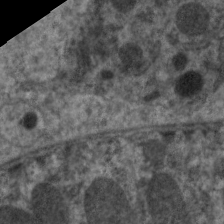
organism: C. elegans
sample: Pharynx